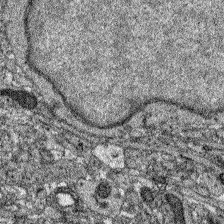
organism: Zebrafish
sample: Larval olfactory bulb